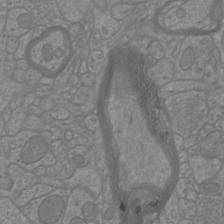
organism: Mouse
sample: Cortical neurons